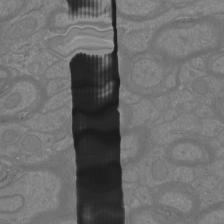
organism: Mouse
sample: Cortical neurons